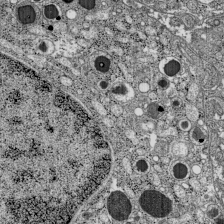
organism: C57BL Mouse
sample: Pancreatic islet